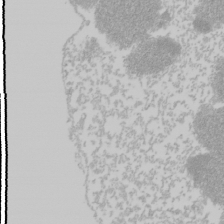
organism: Mouse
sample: Cancer cell death in ED-1 cells